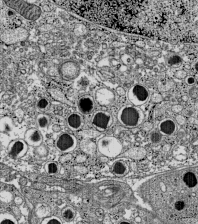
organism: C57BL Mouse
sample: Pancreatic islet